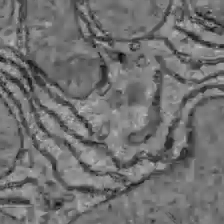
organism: C57BL Mouse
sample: Liver